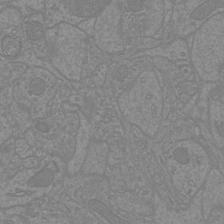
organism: Mouse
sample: Cortical neurons